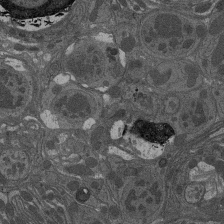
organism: Drosophila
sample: Antenna